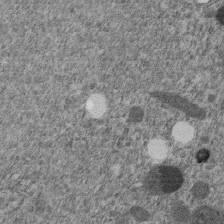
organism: C. elegans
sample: C. elegans embryo early stage